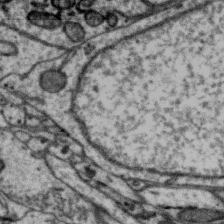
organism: Zebra finch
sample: Brain